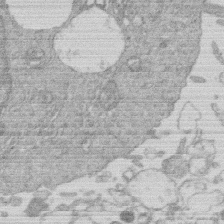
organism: Human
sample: Macrophage cells